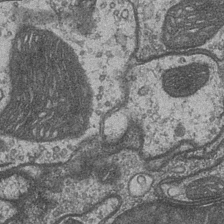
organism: Drosophila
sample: Optic medulla